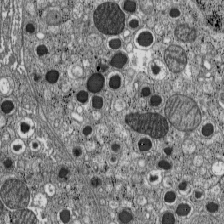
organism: C57BL Mouse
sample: Pancreatic islet